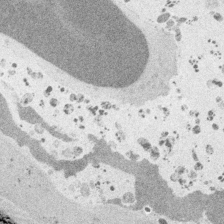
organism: Embia sp.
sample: Silk gland